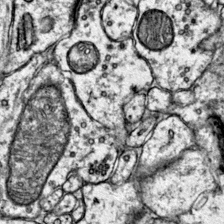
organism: Mouse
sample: Primary visual cortex